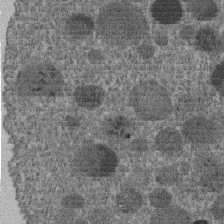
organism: C. elegans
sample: C. elegans embryo early stage